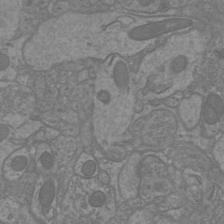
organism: Mouse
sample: Cortical neurons